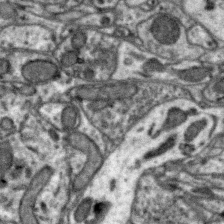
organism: Zebra finch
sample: Brain